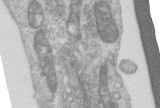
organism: Human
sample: Centriole in RPE cells